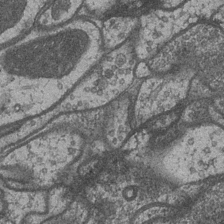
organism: Drosophila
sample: Optic medulla